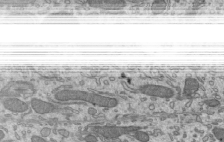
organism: Mouse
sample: Mouse epididymis efferent ductule cilia